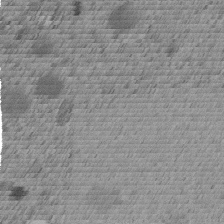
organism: C. elegans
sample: C. elegans embryo early stage